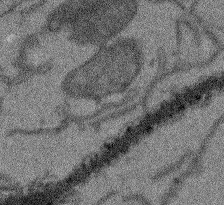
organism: Arabidopsis thaliana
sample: Root tip